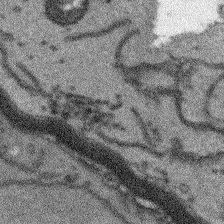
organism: Arabidopsis thaliana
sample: Root tip